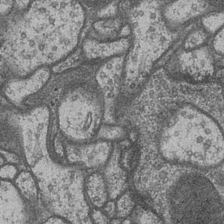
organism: Drosophila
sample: Optic medulla